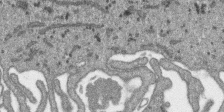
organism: Human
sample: Lung epithelial cells infected with SARS-CoV-2